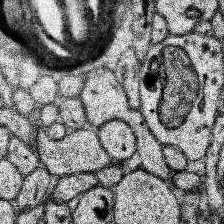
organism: Human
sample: Temporal Lobe